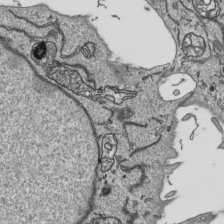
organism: Human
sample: Mitochondria in HCT116 cells